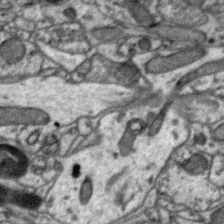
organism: Zebra finch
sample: Brain